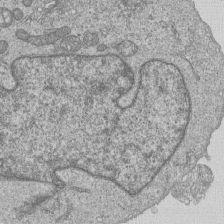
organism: Human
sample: MDA-MB-231 cells